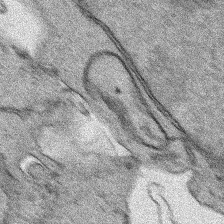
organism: Human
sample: Mitochondria in HCT116 cells